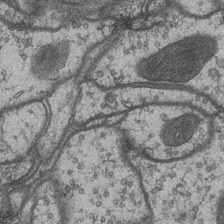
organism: Drosophila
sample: Optic medulla